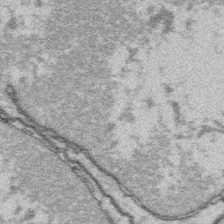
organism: Platynereis dumerilii